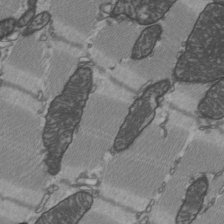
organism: C57BL Mouse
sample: Heart